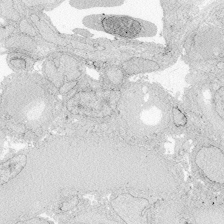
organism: Zebrafish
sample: Whole-Brain